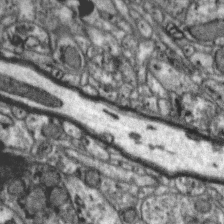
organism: Zebra finch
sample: Brain